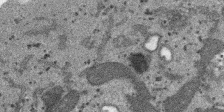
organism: Human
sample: Lung epithelial cells infected with SARS-CoV-2